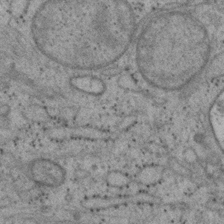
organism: Human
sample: HeLa cells